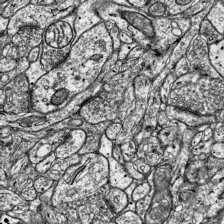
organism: Mouse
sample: Visual Cortex